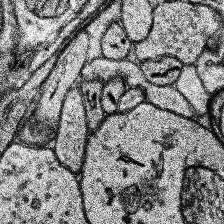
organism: Human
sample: Temporal Lobe